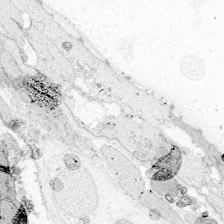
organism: Zebrafish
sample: Whole-Brain